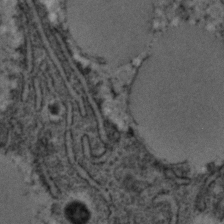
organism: C. elegans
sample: C. elegans embryo